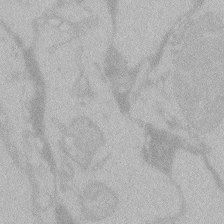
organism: Zebrafish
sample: Macrophage infected with Toxoplasma gondii